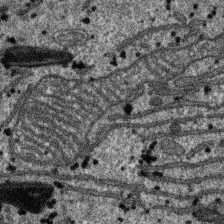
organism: Human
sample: Lung epithelial cells infected with SARS-CoV-2